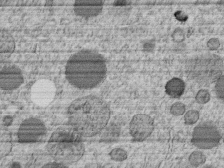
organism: C. elegans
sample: C. elegans embryo early stage